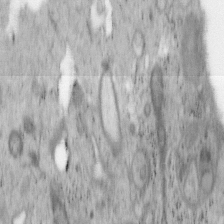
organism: Human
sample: HeLa cells